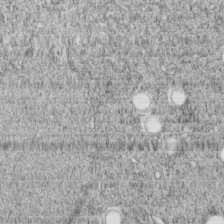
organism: C. elegans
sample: C. elegans embryo early stage